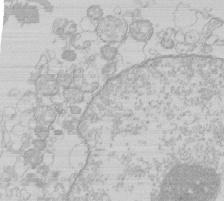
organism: Human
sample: Macrophage cells